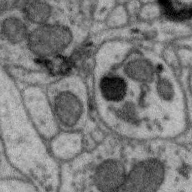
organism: Zebra finch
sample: Brain